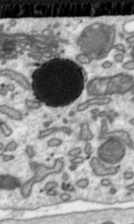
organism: Toxoplasma gondii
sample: Parasites in a vacuole inside a host cell